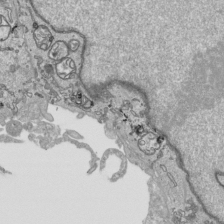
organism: Human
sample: Mitochondria in HCT116 cells